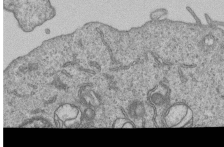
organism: Human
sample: MDA-MB-231 cells